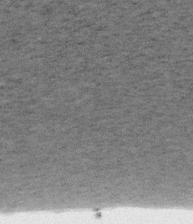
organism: Mouse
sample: OT-I killer T cells with ID8 ovarian cancer cells